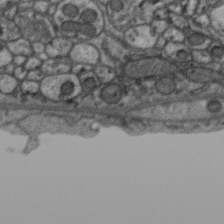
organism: Zebra finch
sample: Brain